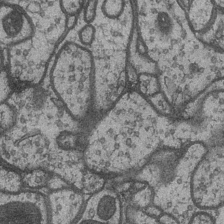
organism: Drosophila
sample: Optic medulla